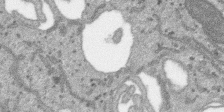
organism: Human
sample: Lung epithelial cells infected with SARS-CoV-2